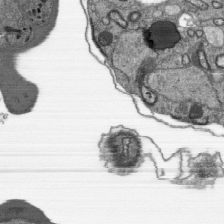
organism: Plasmodium falciparum